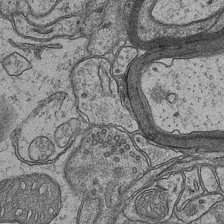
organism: Mouse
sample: CA1 Hippocampus